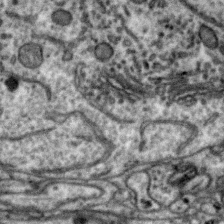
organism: Zebra finch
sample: Brain